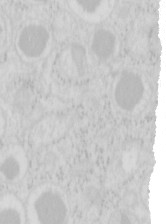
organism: Mouse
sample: Pancreas